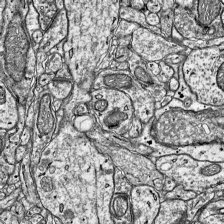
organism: Mouse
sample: Visual Cortex